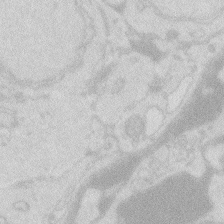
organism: Zebrafish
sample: Macrophage